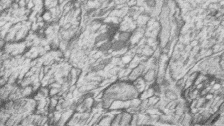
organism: Zebrafish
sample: synaptic ribbons in rod cells and cone cells